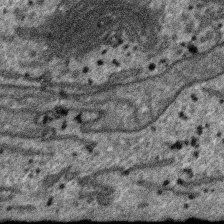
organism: Human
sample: Lung epithelial cells infected with SARS-CoV-2